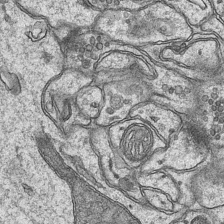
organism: Mouse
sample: CA1 Hippocampus